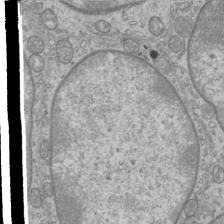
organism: Mouse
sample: Cilia; mouse epididymis